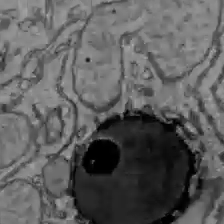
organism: C57BL Mouse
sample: Liver